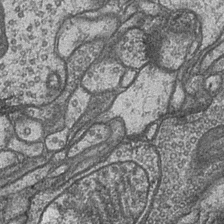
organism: Drosophila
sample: Optic medulla